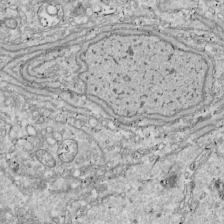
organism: Drosophila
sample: Cell division; meiosis; drosophila spermatocytes